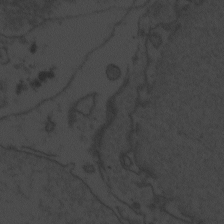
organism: Zebrafish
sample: Macrophage infected with Toxoplasma gondii